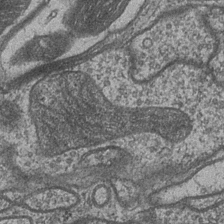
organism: Drosophila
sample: Optic medulla